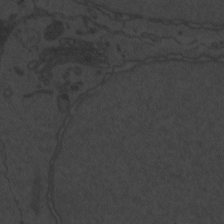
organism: Zebrafish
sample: Macrophage infected with Toxoplasma gondii